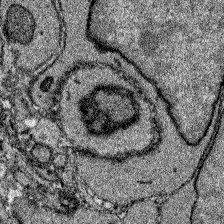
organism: Zebrafish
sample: Larval olfactory bulb